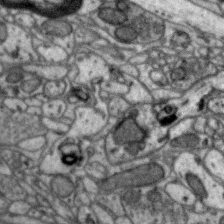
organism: Zebra finch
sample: Brain